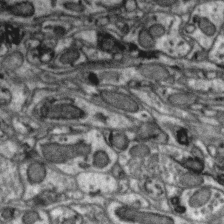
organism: Zebra finch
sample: Brain